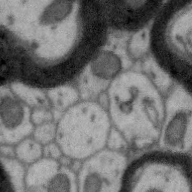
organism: Zebra finch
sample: Brain